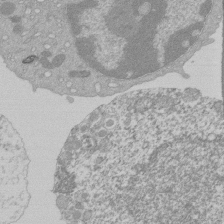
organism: Mouse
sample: Activated Pmel transgenic CD8+ T Cells